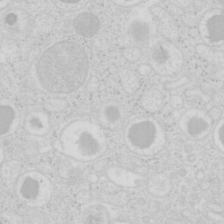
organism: Mouse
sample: Pancreas